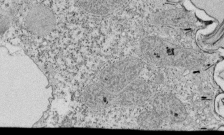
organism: Tetrahymena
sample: Cilia in tetrahymena